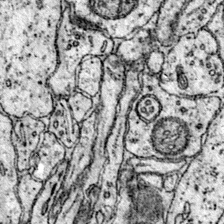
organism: Mouse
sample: Primary visual cortex